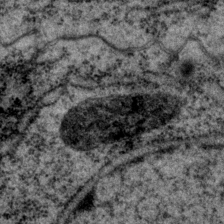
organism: P. pacificus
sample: Pharynx